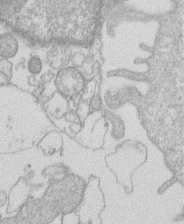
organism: Human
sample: Macrophage cells